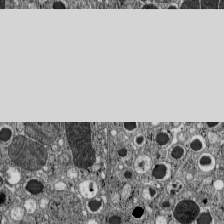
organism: C57BL Mouse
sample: Pancreatic islet